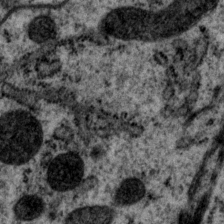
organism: P. pacificus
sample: Pharynx